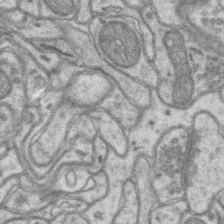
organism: Mouse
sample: CA1 Hippocampus